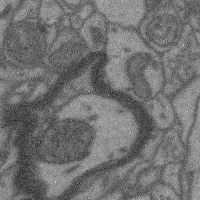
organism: Mouse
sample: Cerebral cortex